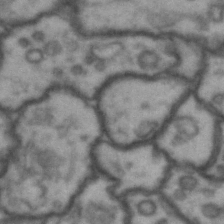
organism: Drosophila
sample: Brain